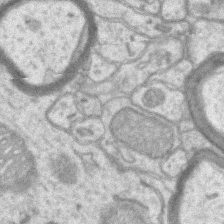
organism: Mouse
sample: CA1 Hippocampus